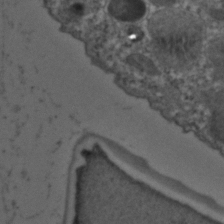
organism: C. elegans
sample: C. elegans embryo